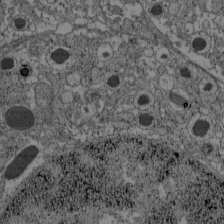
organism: C57BL Mouse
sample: Pancreatic islet